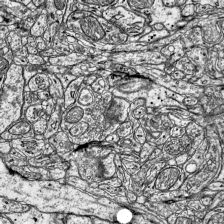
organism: Mouse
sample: Visual Cortex